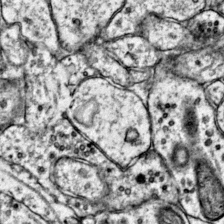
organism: Mouse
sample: Primary visual cortex